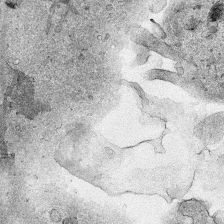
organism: Human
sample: Mitochondria in HCT116 cells